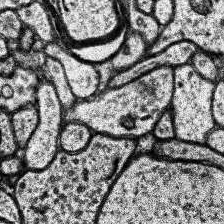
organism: Human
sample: Temporal Lobe